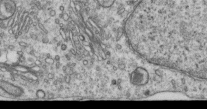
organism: Human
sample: Centriole in RPE cells